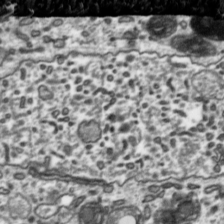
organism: Toxoplasma gondii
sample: Parasites in a vacuole inside a host cell